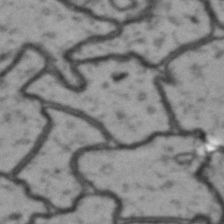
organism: Drosophila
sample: Brain